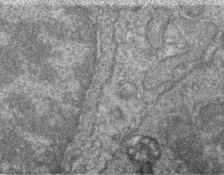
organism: Zebrafish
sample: Cilia; retinal pigment epithelium